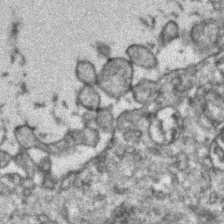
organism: Zebrafish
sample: Zebrafish embryo